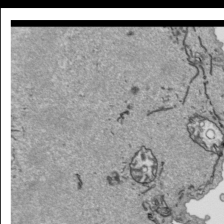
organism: Human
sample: Mitochondria in HCT116 cells